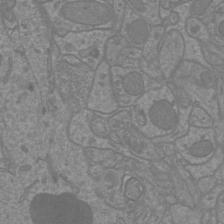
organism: Mouse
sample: Cortical neurons